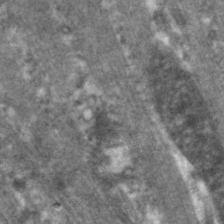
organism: C. elegans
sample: Pharynx